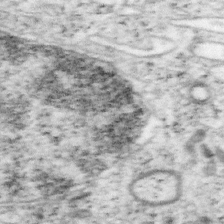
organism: Mouse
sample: OT-I killer T cells with ID8 ovarian cancer cells